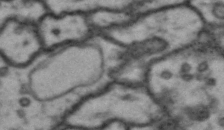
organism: Drosophila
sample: Brain